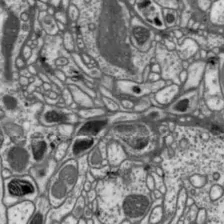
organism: Drosophila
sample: Protocerebral bridge